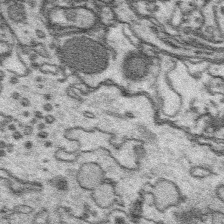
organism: Platynereis dumerilii